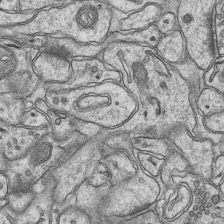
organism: Mouse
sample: CA1 Hippocampus